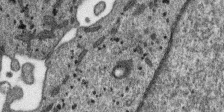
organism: Human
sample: Lung epithelial cells infected with SARS-CoV-2